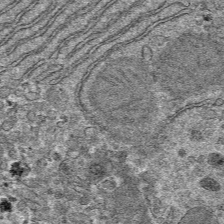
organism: Mouse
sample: Mouse hepatocytes